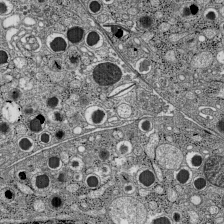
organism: C57BL Mouse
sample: Pancreatic islet